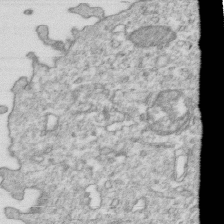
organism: Mouse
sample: Activated OT-1 CD8+ T cells